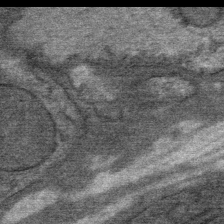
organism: Mouse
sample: Mouse Salivary gland